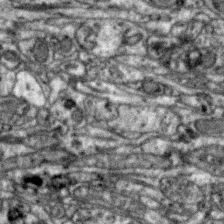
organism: Zebra finch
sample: Brain